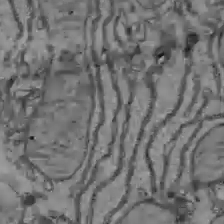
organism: C57BL Mouse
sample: Liver